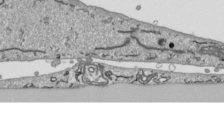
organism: Human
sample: Mitochondria in HCT116 cells